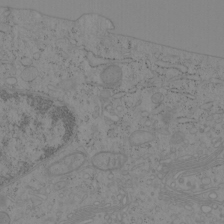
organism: Human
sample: HeLa cells